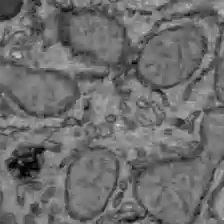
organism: C57BL Mouse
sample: Liver